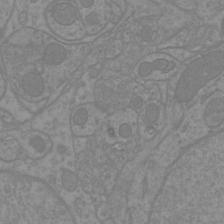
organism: Mouse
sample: Cortical neurons